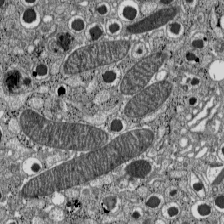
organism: C57BL Mouse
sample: Pancreatic islet